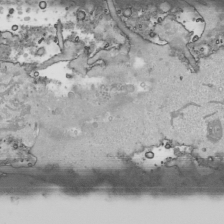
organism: Human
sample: Mitochondria in HCT116 cells